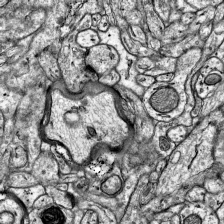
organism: Mouse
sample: Visual Cortex